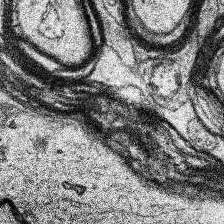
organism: Human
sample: Temporal Lobe